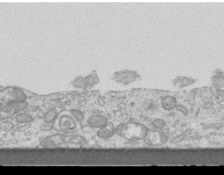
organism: Mouse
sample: Centriole in ependymal cells